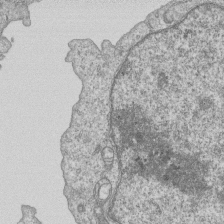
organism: Human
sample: MDA-MB-231 cells